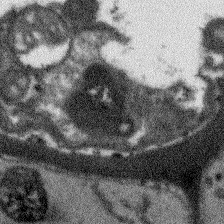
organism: Arabidopsis thaliana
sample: Root tip